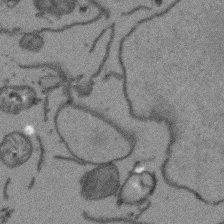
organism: Arabidopsis thaliana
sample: Root tip